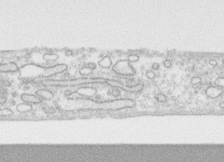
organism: Human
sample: CRL-1474